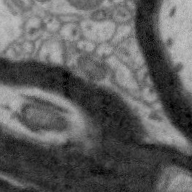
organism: Zebra finch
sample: Brain